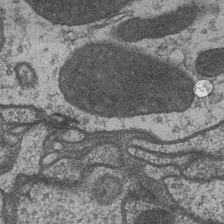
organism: Drosophila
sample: Optic medulla